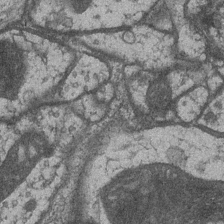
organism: Drosophila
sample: Optic medulla